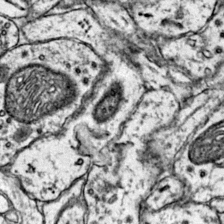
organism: Mouse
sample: Primary visual cortex